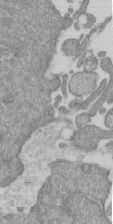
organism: Mouse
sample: ED-1 cell nuclei; centrioles